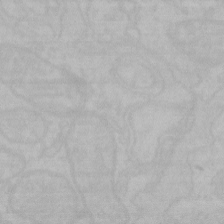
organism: Mouse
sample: Choroid plexus